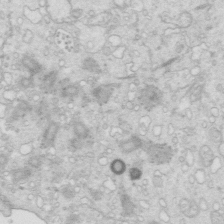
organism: Mouse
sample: Multiciliated cells